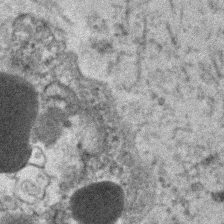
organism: Human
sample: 1205lu cells